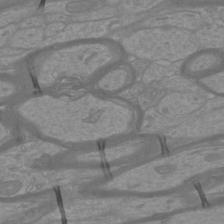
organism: Mouse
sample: Cortical neurons